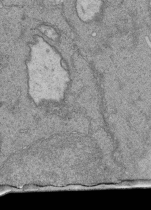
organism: Human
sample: Retinal organoid Rod and Cone cells